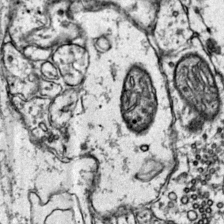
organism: Mouse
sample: Primary visual cortex